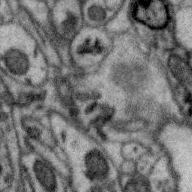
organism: Zebra finch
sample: Brain